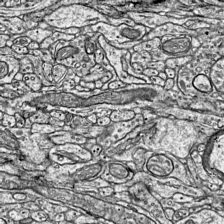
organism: Mouse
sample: Visual Cortex